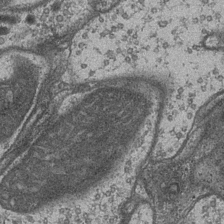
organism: Drosophila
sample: Optic medulla